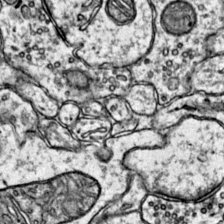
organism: Mouse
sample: Primary visual cortex